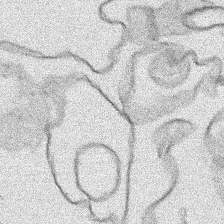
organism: Human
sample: Mitochondria in HCT116 cells